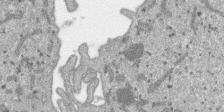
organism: Human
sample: Lung epithelial cells infected with SARS-CoV-2